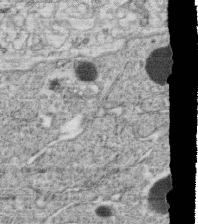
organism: C. elegans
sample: C. elegans oocyte; sperm cells